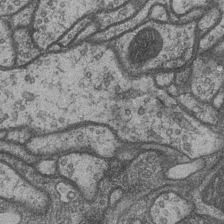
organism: Drosophila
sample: Optic medulla